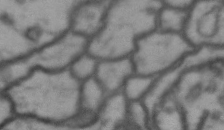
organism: Drosophila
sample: Brain